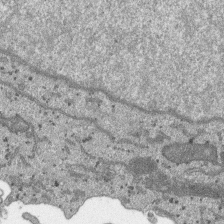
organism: Human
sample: Lung epithelial cells infected with SARS-CoV-2